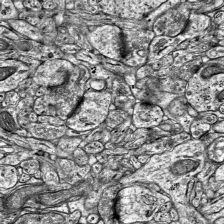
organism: Mouse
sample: Visual Cortex